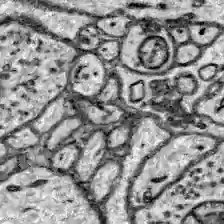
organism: Zebrafish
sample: Brain